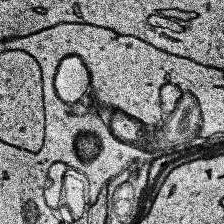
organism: Human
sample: Temporal Lobe